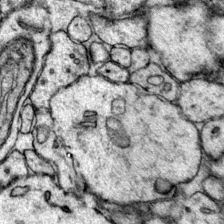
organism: Mouse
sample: Primary visual cortex